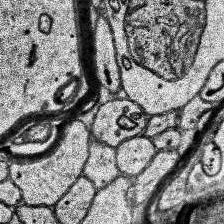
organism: Human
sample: Temporal Lobe